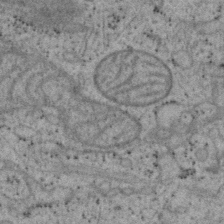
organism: Human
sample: HeLa cells